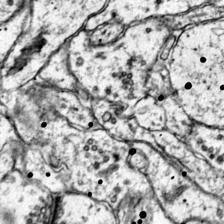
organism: Mouse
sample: Primary visual cortex